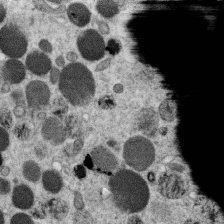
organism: C. elegans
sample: C. elegans oocyte; sperm cells